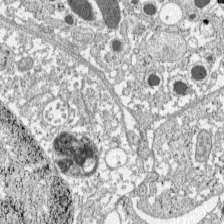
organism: C57BL Mouse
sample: Pancreatic islet